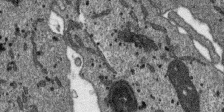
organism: Human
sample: Lung epithelial cells infected with SARS-CoV-2